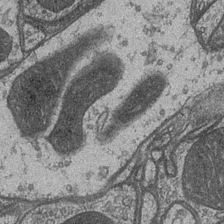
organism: Drosophila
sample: Optic medulla